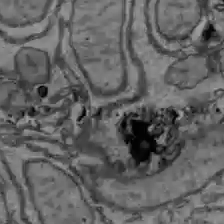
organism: C57BL Mouse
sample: Liver